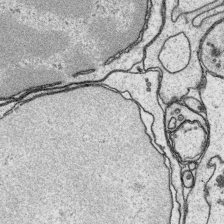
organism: Platynereis dumerilii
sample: Parapodia